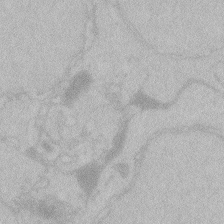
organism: Zebrafish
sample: Macrophage infected with Toxoplasma gondii